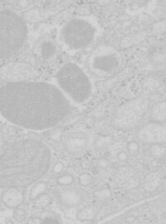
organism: Mouse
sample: Pancreas